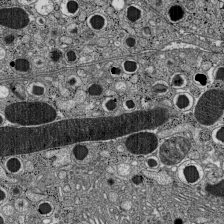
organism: C57BL Mouse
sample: Pancreatic islet